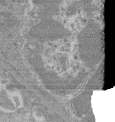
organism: Mouse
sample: Glomerulus